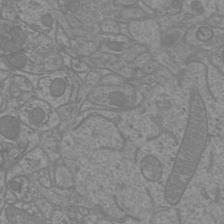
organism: Mouse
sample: Cortical neurons